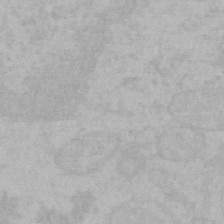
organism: Mouse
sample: Choroid plexus